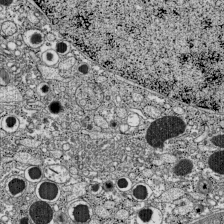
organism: C57BL Mouse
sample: Pancreatic islet